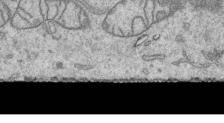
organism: Human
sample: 1205lu cells